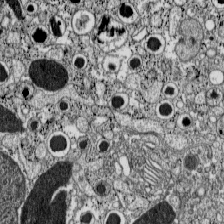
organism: C57BL Mouse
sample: Pancreatic islet